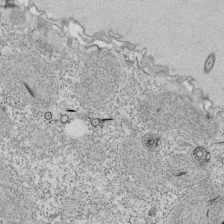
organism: Tetrahymena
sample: Cilia in tetrahymena